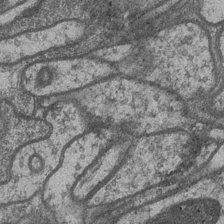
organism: Drosophila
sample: Optic medulla